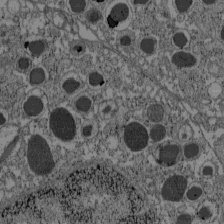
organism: C57BL Mouse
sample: Pancreatic islet